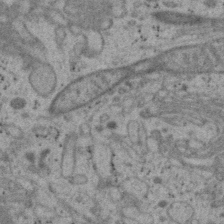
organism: Human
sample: HeLa cells